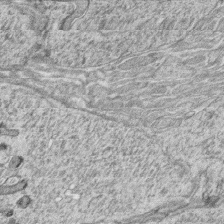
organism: Zebrafish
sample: synaptic ribbons in rod cells and cone cells